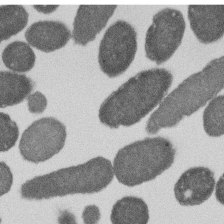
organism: E. coli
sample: Bacterial nucleoid